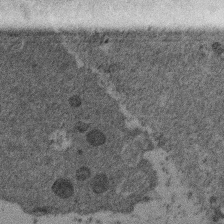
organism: Mouse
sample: Dividing mouse embryo 1 cell stage